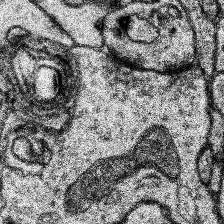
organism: Human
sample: Temporal Lobe